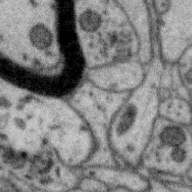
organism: Zebra finch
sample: Brain